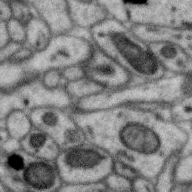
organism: Zebra finch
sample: Brain